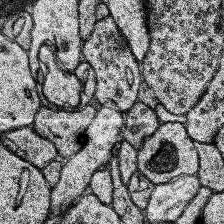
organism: Human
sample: Temporal Lobe